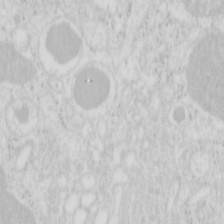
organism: Mouse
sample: Pancreas